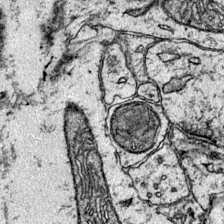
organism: Mouse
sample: Primary visual cortex